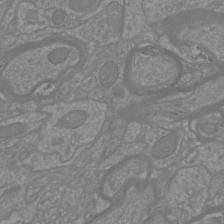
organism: Mouse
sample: Cortical neurons